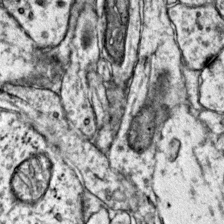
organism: Mouse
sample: Primary visual cortex